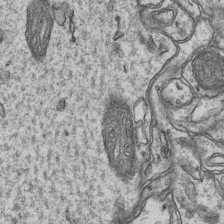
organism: Mouse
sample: CA1 Hippocampus